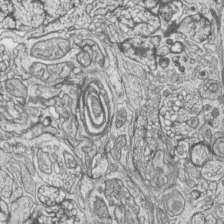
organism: Zebrafish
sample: synaptic ribbons in rod cells and cone cells